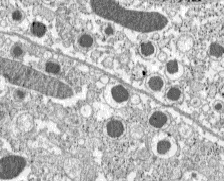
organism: C57BL Mouse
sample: Pancreatic islet